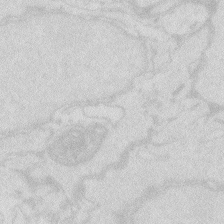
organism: Zebrafish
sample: Macrophage